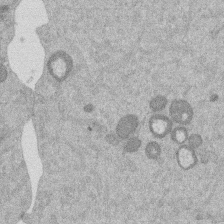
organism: Mouse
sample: Dividing mouse embryo 1 cell stage